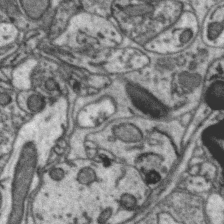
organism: Zebra finch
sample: Brain